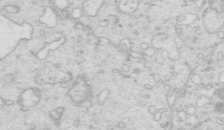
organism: Mouse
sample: Multiciliated cells